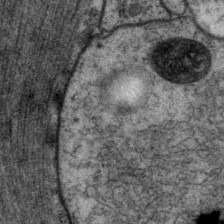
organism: P. pacificus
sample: Pharynx